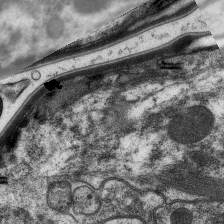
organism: C. elegans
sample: Pharynx